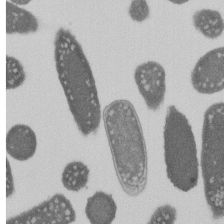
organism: E. coli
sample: Bacterial nucleoid